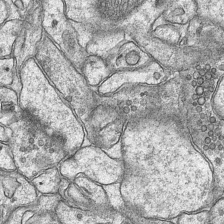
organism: Mouse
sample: CA1 Hippocampus